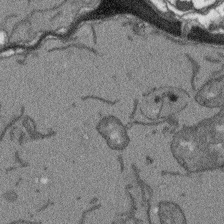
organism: Arabidopsis thaliana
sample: Root tip